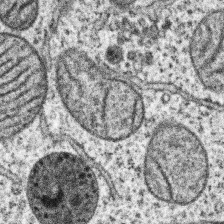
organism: Human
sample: HeLa cells